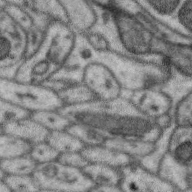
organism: Zebra finch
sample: Brain